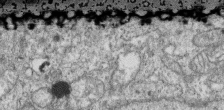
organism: Human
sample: HeLa cell HIV synapse